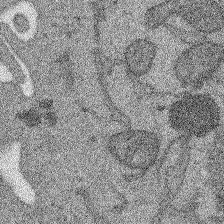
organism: Human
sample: HeLa cells